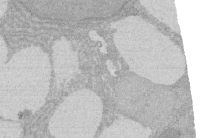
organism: Rat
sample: Salivary granule